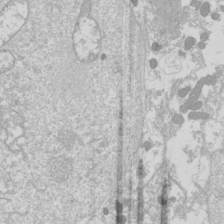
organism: Drosophila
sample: Cell division; meiosis; drosophila spermatocytes